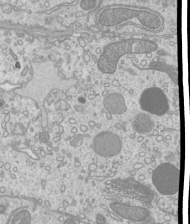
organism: Mouse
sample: Cilia; mouse epididymis